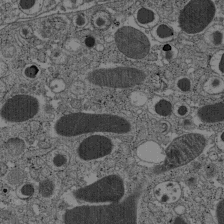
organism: C57BL Mouse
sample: Pancreatic islet